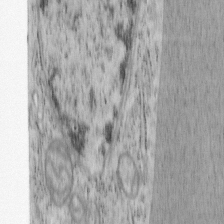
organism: Human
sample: HeLa cells